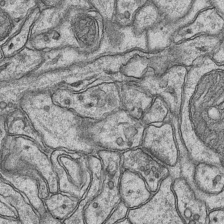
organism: Mouse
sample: CA1 Hippocampus